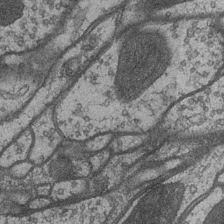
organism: Drosophila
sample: Optic medulla